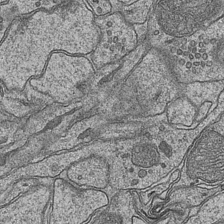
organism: Mouse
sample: CA1 Hippocampus